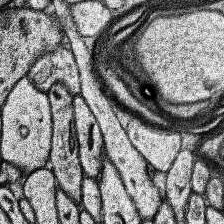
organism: Human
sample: Temporal Lobe